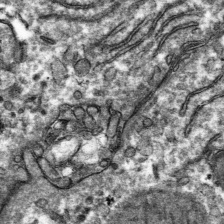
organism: Mouse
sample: Mouse hepatocytes